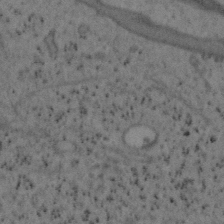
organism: Human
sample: HeLa cells